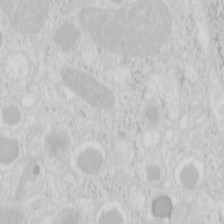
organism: Mouse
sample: Pancreas